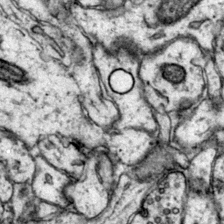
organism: Mouse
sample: Primary visual cortex